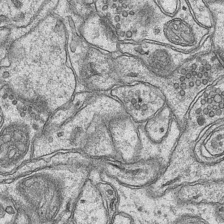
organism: Mouse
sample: CA1 Hippocampus